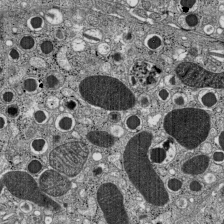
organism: C57BL Mouse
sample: Pancreatic islet